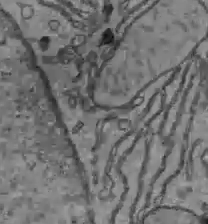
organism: C57BL Mouse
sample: Liver